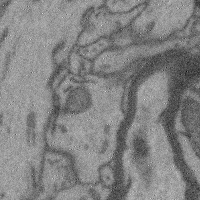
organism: Mouse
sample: Cerebral cortex